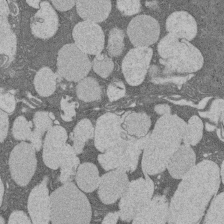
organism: Rat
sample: Salivary granule